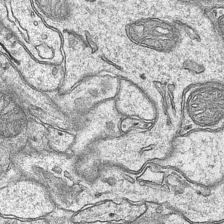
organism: Mouse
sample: CA1 Hippocampus